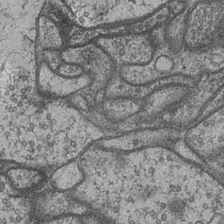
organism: Drosophila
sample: Optic medulla